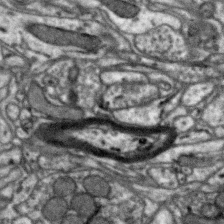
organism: Zebra finch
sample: Brain